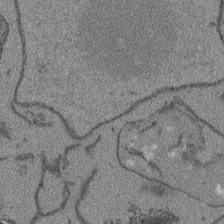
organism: Arabidopsis thaliana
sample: Root tip